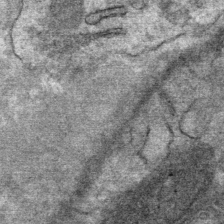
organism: Mouse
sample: Mouse Salivary gland